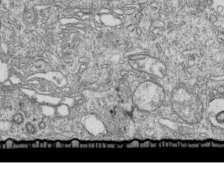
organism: Human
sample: HeLa cell HIV synapse